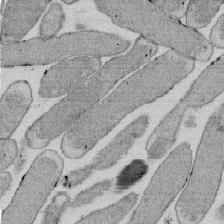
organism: E. coli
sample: Bacterial nucleoid